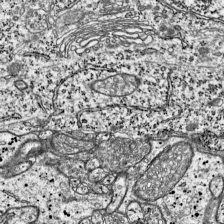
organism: Mouse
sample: Visual Cortex